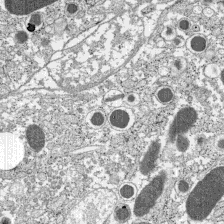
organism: C57BL Mouse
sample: Pancreatic islet